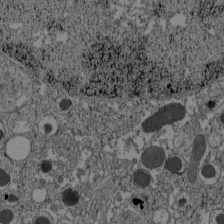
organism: C57BL Mouse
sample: Pancreatic islet